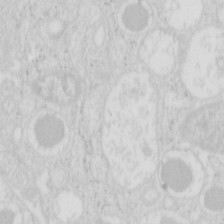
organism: Mouse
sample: Pancreas